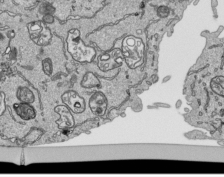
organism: Human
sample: Mitochondria in HCT116 cells